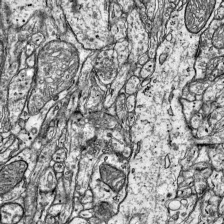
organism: Mouse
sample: Visual Cortex